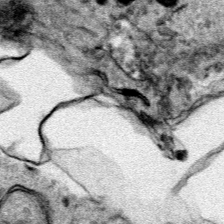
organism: Human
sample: Mitochondria in HCT116 cells